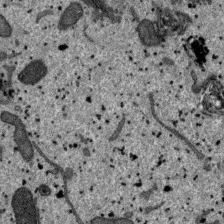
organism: Human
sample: Lung epithelial cells, uninfected (mock) control